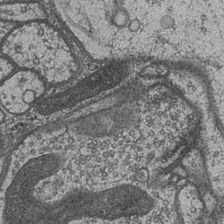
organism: Drosophila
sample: Optic medulla